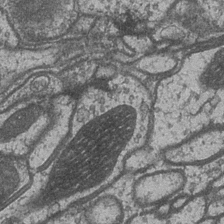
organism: Drosophila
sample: Optic medulla